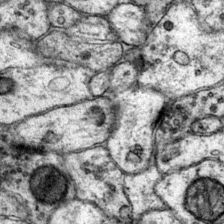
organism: Mouse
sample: Primary visual cortex